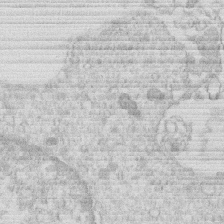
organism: Human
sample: Macrophage cells